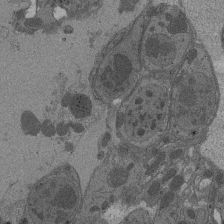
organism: Drosophila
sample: Antenna